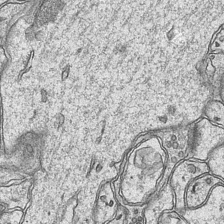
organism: Mouse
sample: CA1 Hippocampus